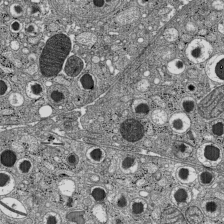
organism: C57BL Mouse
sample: Pancreatic islet